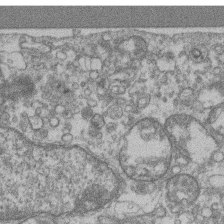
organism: Mouse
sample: T cell stromal cell synapse